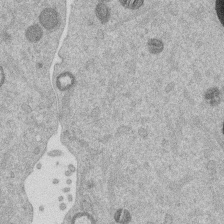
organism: Mouse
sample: Dividing mouse embryo 1 cell stage